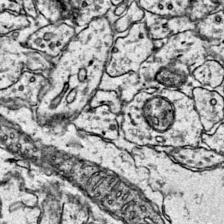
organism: Mouse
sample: Primary visual cortex